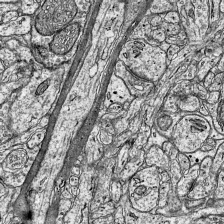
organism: Mouse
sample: Visual Cortex